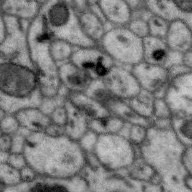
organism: Zebra finch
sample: Brain